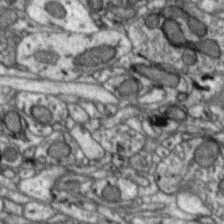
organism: Zebra finch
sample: Brain